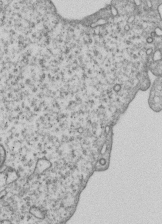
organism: Human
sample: MDA-MB-231 cells